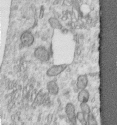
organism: Human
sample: Centriole in RPE cells